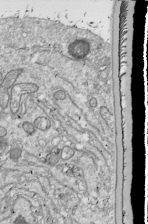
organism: Drosophila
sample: Cell division; meiosis; drosophila spermatocytes